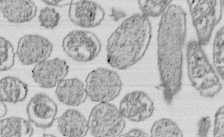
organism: E. coli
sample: Bacterial nucleoid